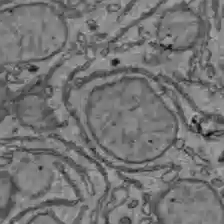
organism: C57BL Mouse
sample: Liver